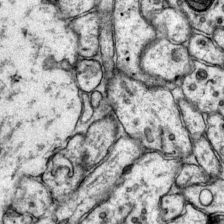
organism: Mouse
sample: Primary visual cortex